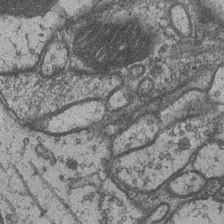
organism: Drosophila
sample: Optic medulla